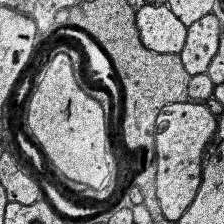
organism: Human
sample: Temporal Lobe